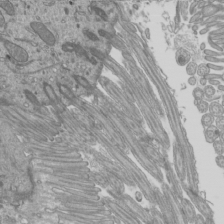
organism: Mouse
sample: Cilia; mouse epididymis